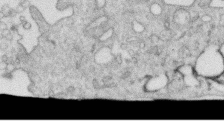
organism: Human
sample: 1205lu cells